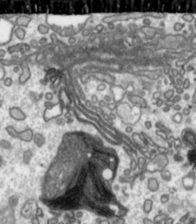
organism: Toxoplasma gondii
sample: Parasites in a vacuole inside a host cell